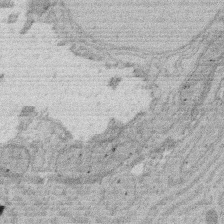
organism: Rat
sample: Salivary granule